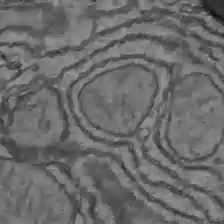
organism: C57BL Mouse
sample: Liver